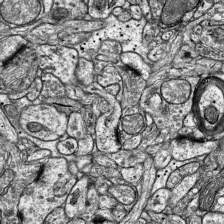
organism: Mouse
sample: Visual Cortex